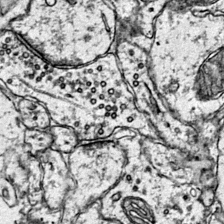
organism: Mouse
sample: Primary visual cortex